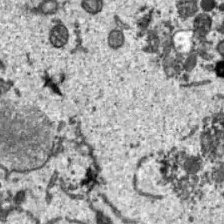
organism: Human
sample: HeLa cells